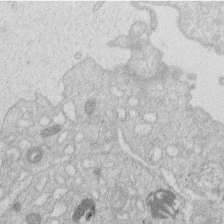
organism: Human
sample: Macrophage cells